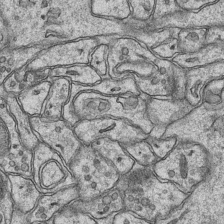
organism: Mouse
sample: CA1 Hippocampus